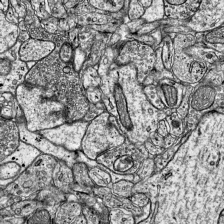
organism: Mouse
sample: Visual Cortex